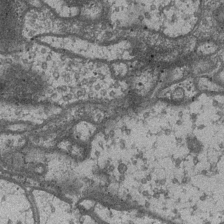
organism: Drosophila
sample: Optic medulla